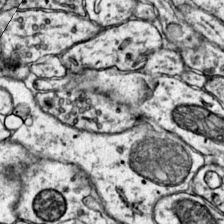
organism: Mouse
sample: Primary visual cortex